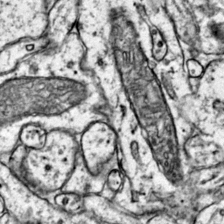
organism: Mouse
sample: Primary visual cortex